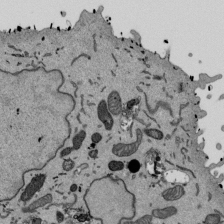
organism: Mouse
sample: ED-1 cell nuclei; centrioles